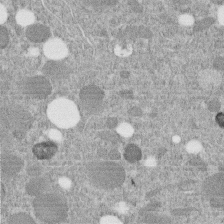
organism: C. elegans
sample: C. elegans embryo early stage